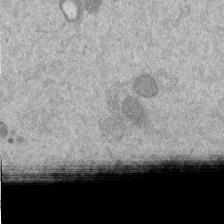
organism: Mouse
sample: Dividing mouse embryo 1 cell stage